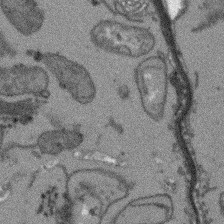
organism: Arabidopsis thaliana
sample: Root tip